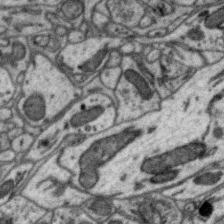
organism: Zebra finch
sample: Brain